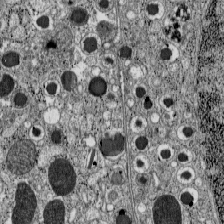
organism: C57BL Mouse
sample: Pancreatic islet